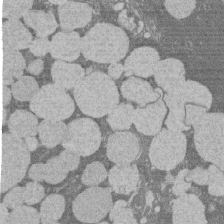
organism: Rat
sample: Salivary granule